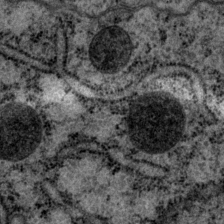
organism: P. pacificus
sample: Pharynx